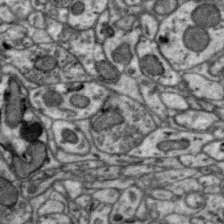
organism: Zebra finch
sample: Brain